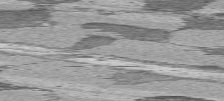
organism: C57BL Mouse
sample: Heart